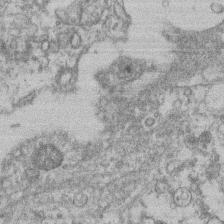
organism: Mouse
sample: T cell stromal cell synapse